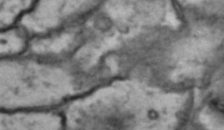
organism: Drosophila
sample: Brain